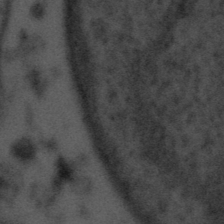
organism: Tuwongella immobilis